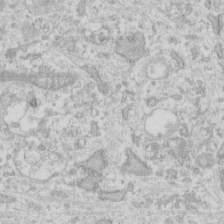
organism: Human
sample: Fibroblast cells